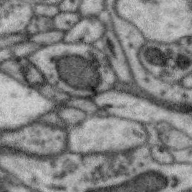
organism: Zebra finch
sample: Brain